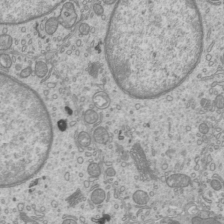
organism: Mouse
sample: Cilia; mouse epididymis